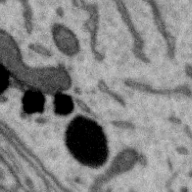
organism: Zebra finch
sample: Brain